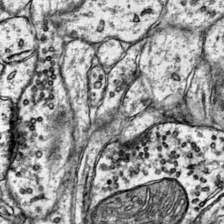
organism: Mouse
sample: Primary visual cortex